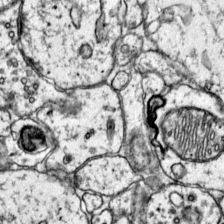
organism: Mouse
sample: Primary visual cortex